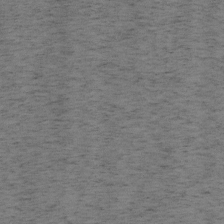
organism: Mouse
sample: OT-I killer T cells with ID8 ovarian cancer cells